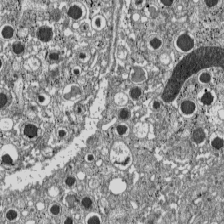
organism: C57BL Mouse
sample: Pancreatic islet